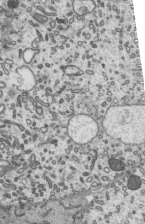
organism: Mouse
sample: Mouse epididymis efferent ductule cilia